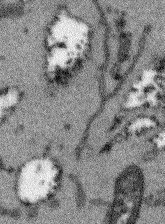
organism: Arabidopsis thaliana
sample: Root tip